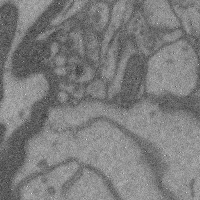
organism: Mouse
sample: Cerebral cortex